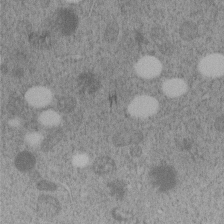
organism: C. elegans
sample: C. elegans embryo early stage